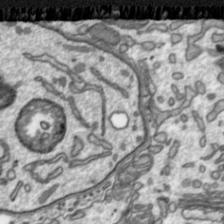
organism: Toxoplasma gondii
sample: Parasites in a vacuole inside a host cell